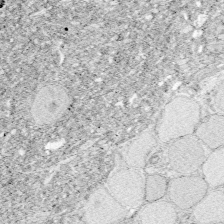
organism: Zebrafish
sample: Whole-Brain